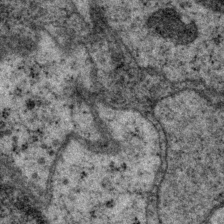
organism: P. pacificus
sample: Pharynx